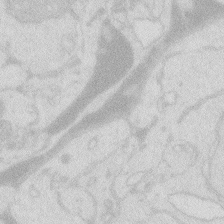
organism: Zebrafish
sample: Macrophage